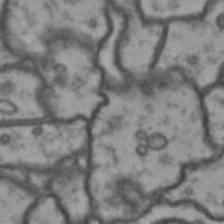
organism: Drosophila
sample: Brain